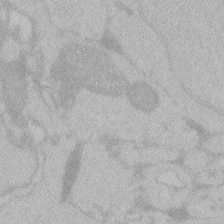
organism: Zebrafish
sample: Macrophage infected with Toxoplasma gondii